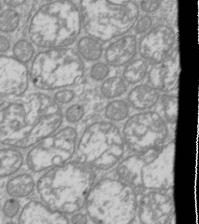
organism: Drosophila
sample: Cell division; meiosis; drosophila spermatocytes